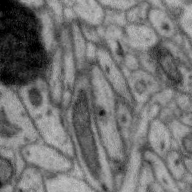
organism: Zebra finch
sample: Brain